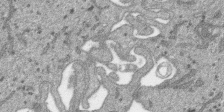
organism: Human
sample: Lung epithelial cells infected with SARS-CoV-2